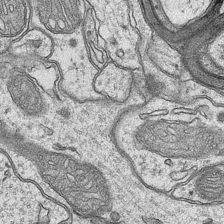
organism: Mouse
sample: CA1 Hippocampus